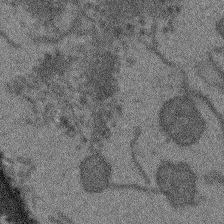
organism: Arabidopsis thaliana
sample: Root tip